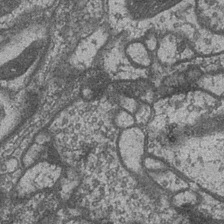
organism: Drosophila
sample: Optic medulla